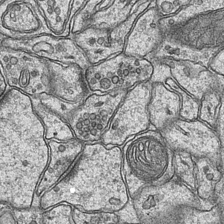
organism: Mouse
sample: CA1 Hippocampus